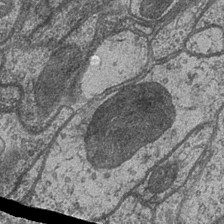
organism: Drosophila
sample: Optic medulla